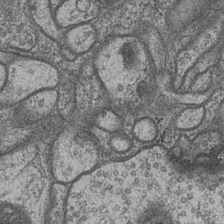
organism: Drosophila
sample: Optic medulla